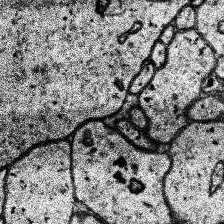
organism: Human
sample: Temporal Lobe